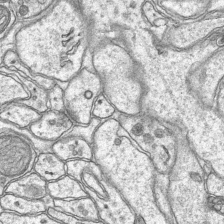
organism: Mouse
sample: CA1 Hippocampus